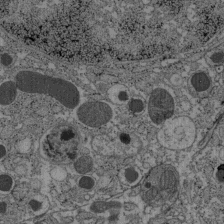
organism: C57BL Mouse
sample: Pancreatic islet